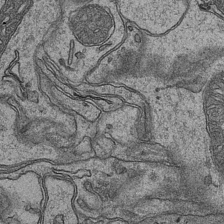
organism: Mouse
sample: CA1 Hippocampus